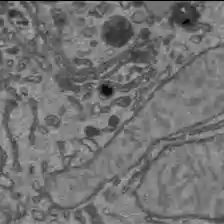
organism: C57BL Mouse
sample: Liver